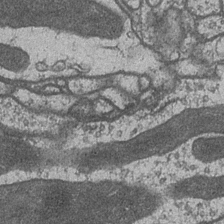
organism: Drosophila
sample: Optic medulla